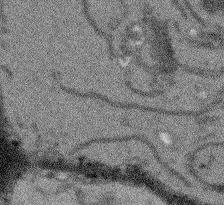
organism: Arabidopsis thaliana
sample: Root tip